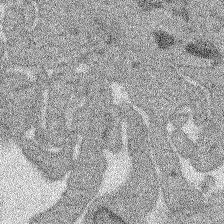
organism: Human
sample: HeLa cells